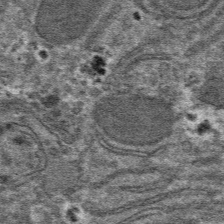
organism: Mouse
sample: Mouse hepatocytes